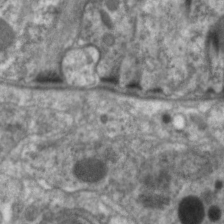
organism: C. elegans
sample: Pharynx